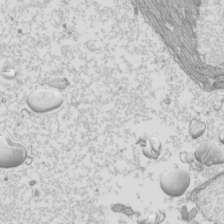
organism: Mouse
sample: Cilia; mouse epididymis